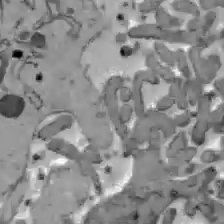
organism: C57BL Mouse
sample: Liver